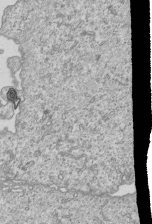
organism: Human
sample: MDA-MB-231 cells